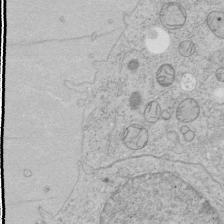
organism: Human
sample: Mitochondria in HCT116 cells